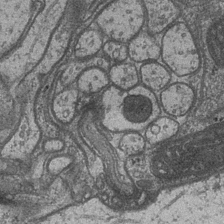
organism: Drosophila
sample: Optic medulla